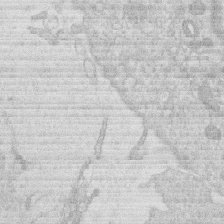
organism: Human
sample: Macrophage cells